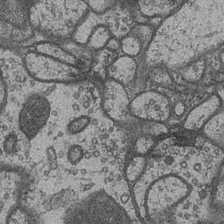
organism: Drosophila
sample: Optic medulla